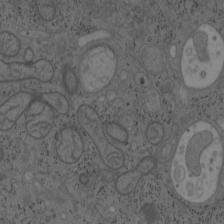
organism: Mouse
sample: OT-I killer T cells with ID8 ovarian cancer cells